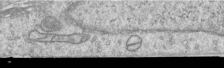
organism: Human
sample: Centriole in RPE cells